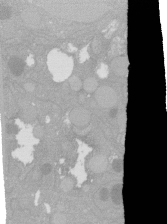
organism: C. elegans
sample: C. elegans oocyte; sperm cells